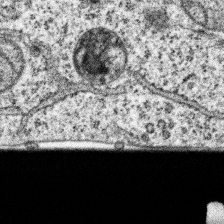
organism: Human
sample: HeLa cells